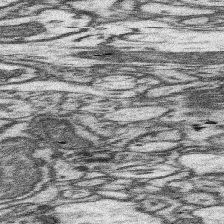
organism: Mouse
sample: Somatosensory cortex neuropil